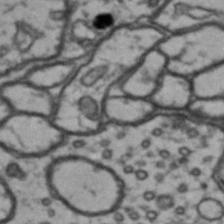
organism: Drosophila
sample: Brain